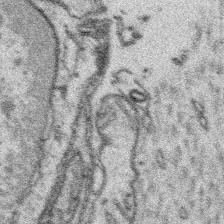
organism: Platynereis dumerilii